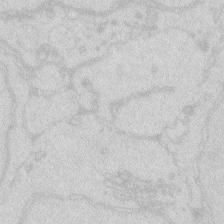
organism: Zebrafish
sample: Macrophage